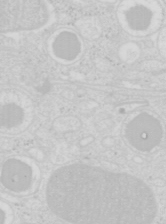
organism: Mouse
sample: Pancreas